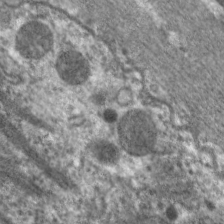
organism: C. elegans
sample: Pharynx